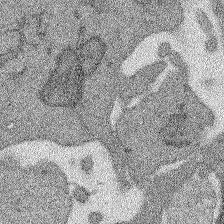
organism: Human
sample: HeLa cells